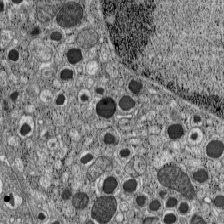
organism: C57BL Mouse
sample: Pancreatic islet